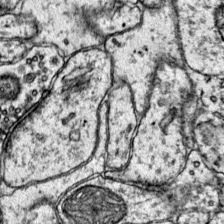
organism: Mouse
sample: Primary visual cortex